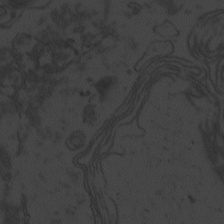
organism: Zebrafish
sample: Macrophage infected with Toxoplasma gondii